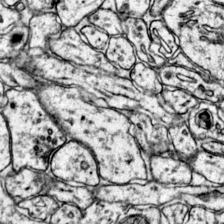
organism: Mouse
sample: Primary visual cortex